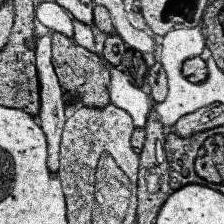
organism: Human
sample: Temporal Lobe